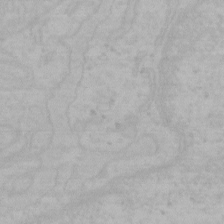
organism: Mouse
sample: Choroid plexus